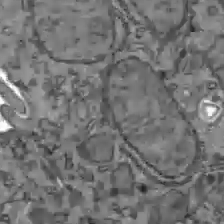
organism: C57BL Mouse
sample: Liver